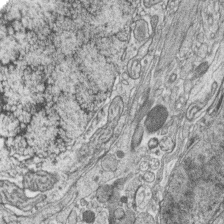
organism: Zebrafish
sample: synaptic ribbons in rod cells and cone cells